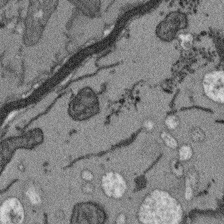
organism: Arabidopsis thaliana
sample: Root tip